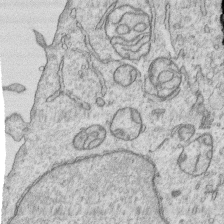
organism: Human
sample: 1205lu cells